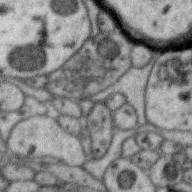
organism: Zebra finch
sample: Brain